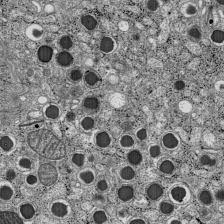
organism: C57BL Mouse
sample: Pancreatic islet